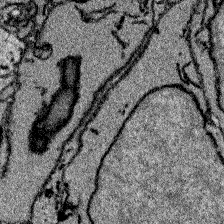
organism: Zebrafish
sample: Larval olfactory bulb